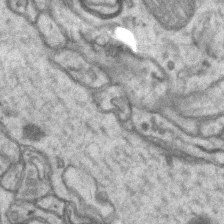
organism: Mouse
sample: CA1 Hippocampus